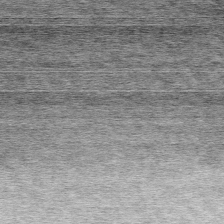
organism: Human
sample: HeLa cells